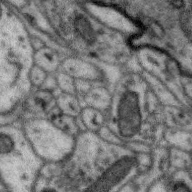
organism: Zebra finch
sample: Brain